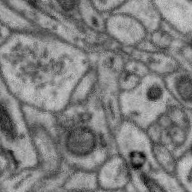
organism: Zebra finch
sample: Brain